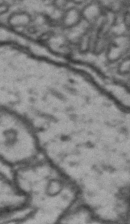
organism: Drosophila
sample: Brain